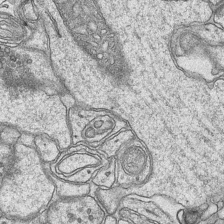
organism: Mouse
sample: CA1 Hippocampus